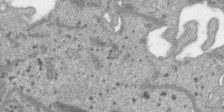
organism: Human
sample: Lung epithelial cells infected with SARS-CoV-2